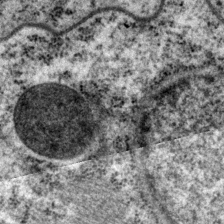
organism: P. pacificus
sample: Pharynx